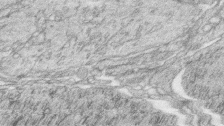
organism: Zebrafish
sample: synaptic ribbons in rod cells and cone cells